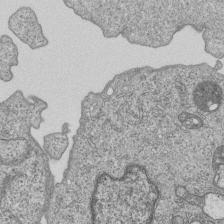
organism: Human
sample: MDA-MB-231 cells